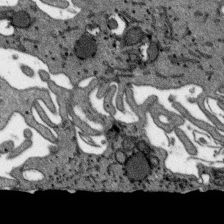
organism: Human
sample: Lung epithelial cells, uninfected (mock) control